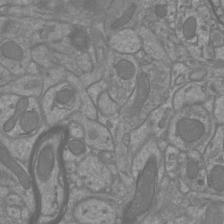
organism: Mouse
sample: Cortical neurons